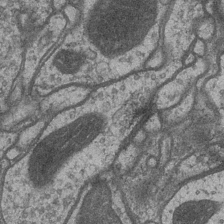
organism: Drosophila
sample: Optic medulla